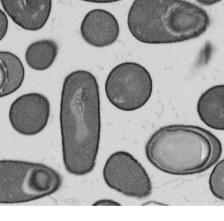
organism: B. subtilis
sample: Bacterial spore